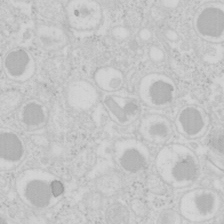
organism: Mouse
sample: Pancreas